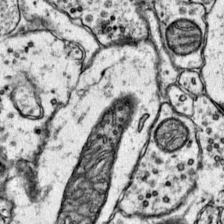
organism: Mouse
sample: Primary visual cortex